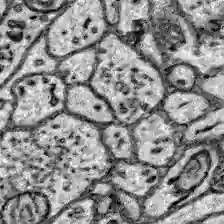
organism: Zebrafish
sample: Brain